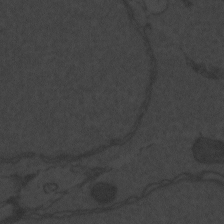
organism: Zebrafish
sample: Macrophage infected with Toxoplasma gondii